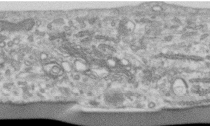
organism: Human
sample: Centriole in RPE cells